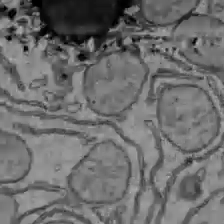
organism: C57BL Mouse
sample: Liver